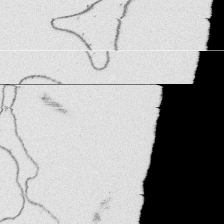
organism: Platynereis dumerilii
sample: Parapodia